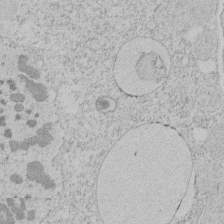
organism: Tetrahymena